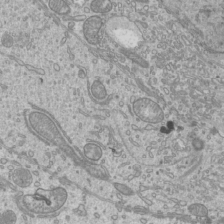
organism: Mouse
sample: Cilia; mouse epididymis